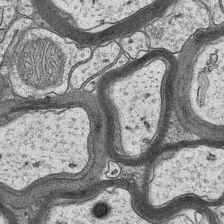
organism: Mouse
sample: CA1 Hippocampus